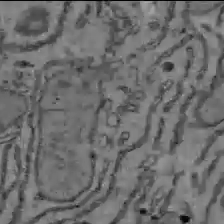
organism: C57BL Mouse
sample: Liver